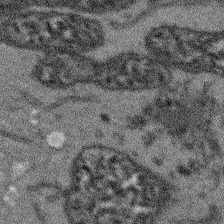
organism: Arabidopsis thaliana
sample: Root tip